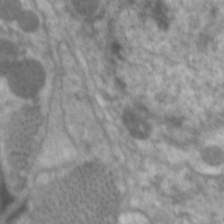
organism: C. elegans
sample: Pharynx